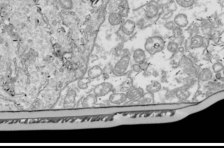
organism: Drosophila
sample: Cell division; meiosis; drosophila spermatocytes